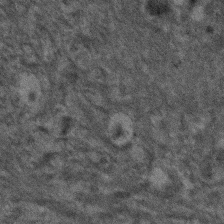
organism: Human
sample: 1205lu cells